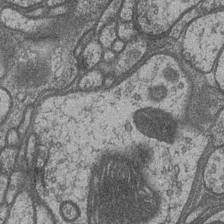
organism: Drosophila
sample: Optic medulla